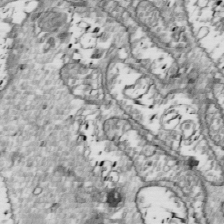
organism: Drosophila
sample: Cell division; meiosis; drosophila spermatocytes